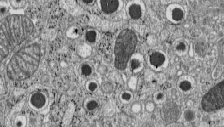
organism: C57BL Mouse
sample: Pancreatic islet